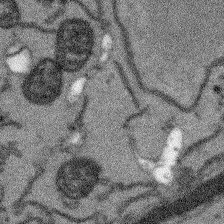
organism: Arabidopsis thaliana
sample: Root tip